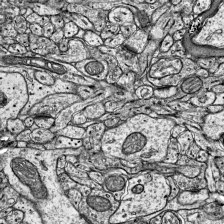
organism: Mouse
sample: Visual Cortex